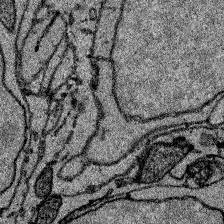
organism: Zebrafish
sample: Larval olfactory bulb